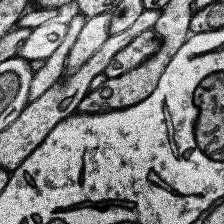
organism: Human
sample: Temporal Lobe